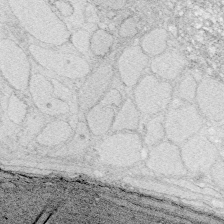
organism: Zebrafish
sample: Whole-Brain